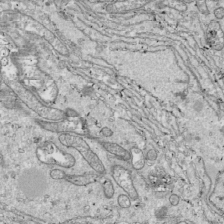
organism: Drosophila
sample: Cell division; meiosis; drosophila spermatocytes